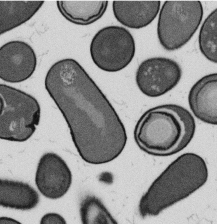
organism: B. subtilis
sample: Bacterial spore